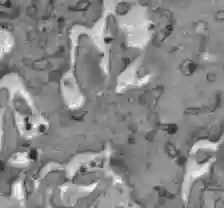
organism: C57BL Mouse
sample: Liver